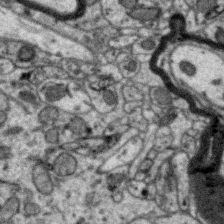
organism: Zebra finch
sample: Brain